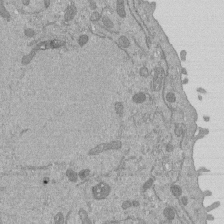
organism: Mouse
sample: ED-1 cell nuclei; centrioles